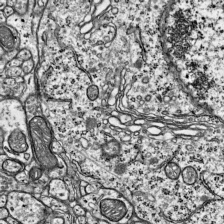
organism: Mouse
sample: Visual Cortex